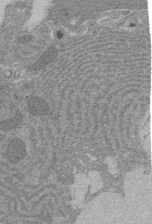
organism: Rat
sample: Salivary granule